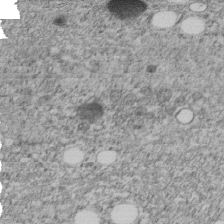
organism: C. elegans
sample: C. elegans embryo early stage